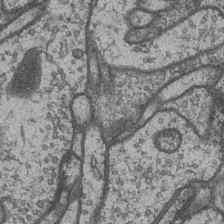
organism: Drosophila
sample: Optic medulla